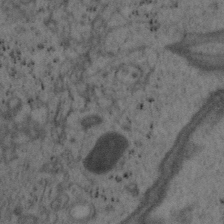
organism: Human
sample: HeLa cells